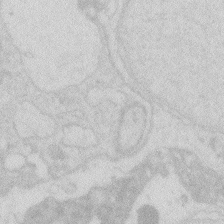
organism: Zebrafish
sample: Macrophage